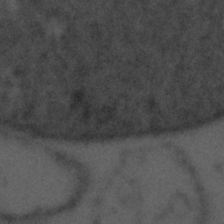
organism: Tuwongella immobilis